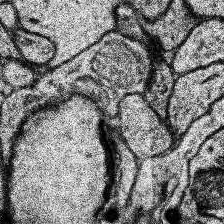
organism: Human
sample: Temporal Lobe